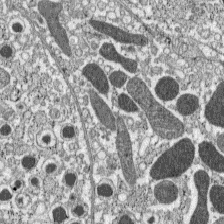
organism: C57BL Mouse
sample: Pancreatic islet